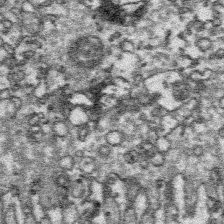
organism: Platynereis dumerilii